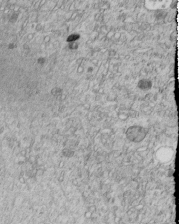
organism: C. elegans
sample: C. elegans embryo early stage